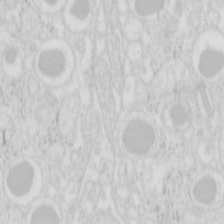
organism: Mouse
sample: Pancreas